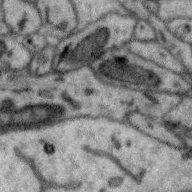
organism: Zebra finch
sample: Brain